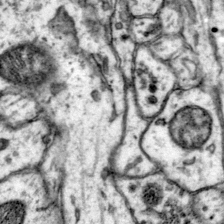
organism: Mouse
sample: Primary visual cortex